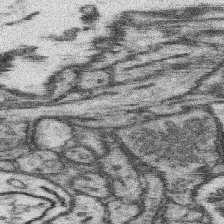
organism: Mouse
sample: Somatosensory cortex neuropil